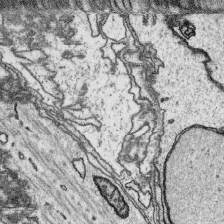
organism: Platynereis dumerilii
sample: Parapodia